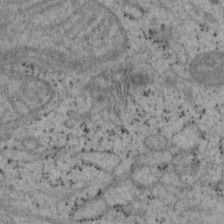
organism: Human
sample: HeLa cells